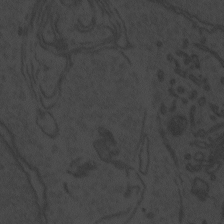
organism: Zebrafish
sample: Macrophage infected with Toxoplasma gondii